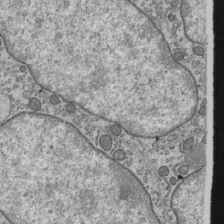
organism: Mouse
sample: Mouse epididymis efferent ductule cilia